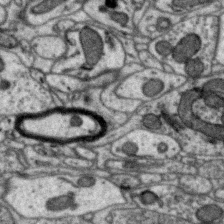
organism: Zebra finch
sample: Brain